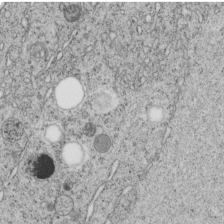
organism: C. elegans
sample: C. elegans embryo early stage